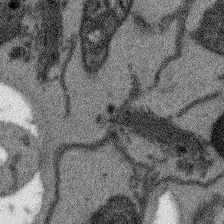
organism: Arabidopsis thaliana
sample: Root tip